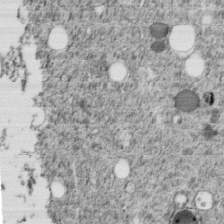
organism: C. elegans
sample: C. elegans embryo early stage